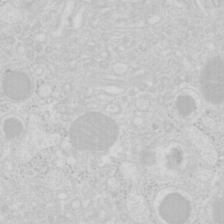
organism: Mouse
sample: Pancreas